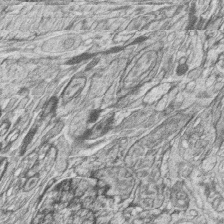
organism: Zebrafish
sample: synaptic ribbons in rod cells and cone cells